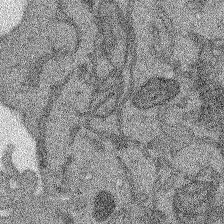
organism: Human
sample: HeLa cells